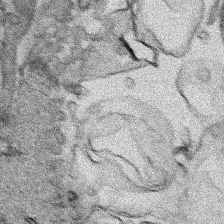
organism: Human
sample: Mitochondria in HCT116 cells